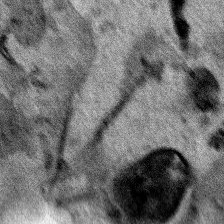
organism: Human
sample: Mitochondria in HCT116 cells